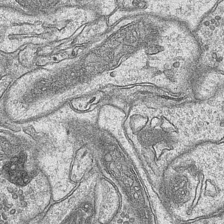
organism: Mouse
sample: CA1 Hippocampus